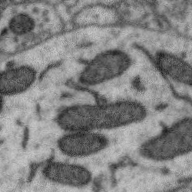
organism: Zebra finch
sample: Brain